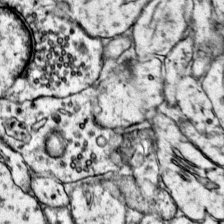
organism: Mouse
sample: Primary visual cortex